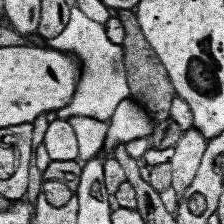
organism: Human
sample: Temporal Lobe